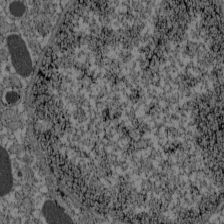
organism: C57BL Mouse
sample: Pancreatic islet